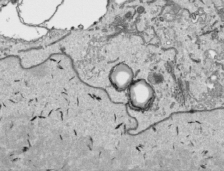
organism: Human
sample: Mitochondria in HCT116 cells